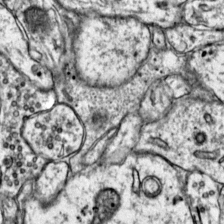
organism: Mouse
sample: Primary visual cortex